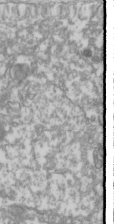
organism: Drosophila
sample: Cell division; meiosis; drosophila spermatocytes